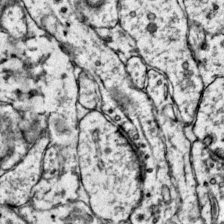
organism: Mouse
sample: Primary visual cortex